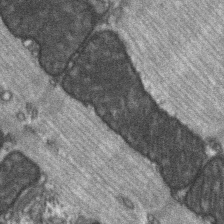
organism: C57BL Mouse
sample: Soleus